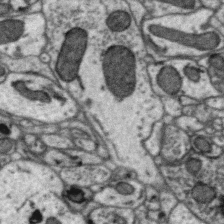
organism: Zebra finch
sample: Brain